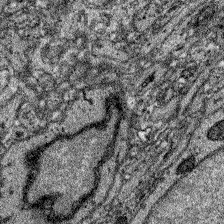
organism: Zebrafish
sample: Larval olfactory bulb